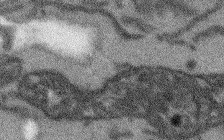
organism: Arabidopsis thaliana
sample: Root tip